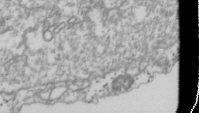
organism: Drosophila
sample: Cell division; meiosis; drosophila spermatocytes